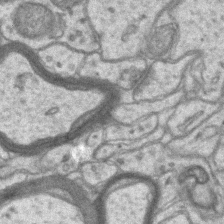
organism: Mouse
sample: CA1 Hippocampus